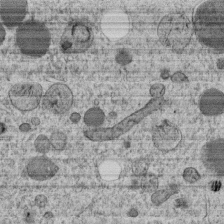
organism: C. elegans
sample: C. elegans embryo early stage